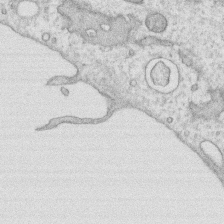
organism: Human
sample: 1205lu cells